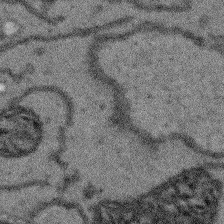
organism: Arabidopsis thaliana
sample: Root tip